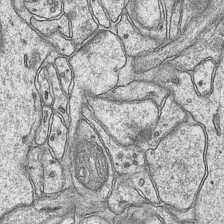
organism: Mouse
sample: CA1 Hippocampus